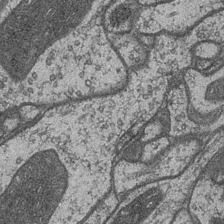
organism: Drosophila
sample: Optic medulla